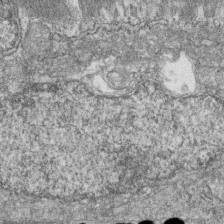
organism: Zebrafish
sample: Cilia; retinal pigment epithelium